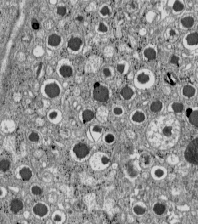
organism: C57BL Mouse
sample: Pancreatic islet